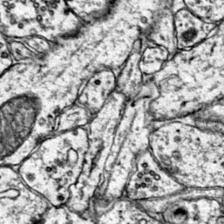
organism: Mouse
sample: Primary visual cortex